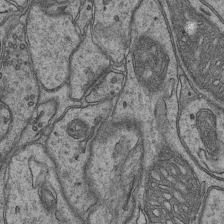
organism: Mouse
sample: CA1 Hippocampus